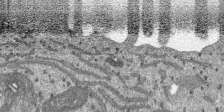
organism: Human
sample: Lung epithelial cells infected with SARS-CoV-2